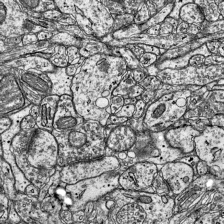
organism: Mouse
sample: Visual Cortex